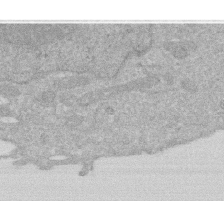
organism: Human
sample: HIV infected U937 cells